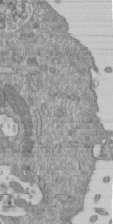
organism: Mouse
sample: ED-1 cell nuclei; centrioles